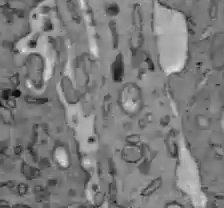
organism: C57BL Mouse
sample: Liver